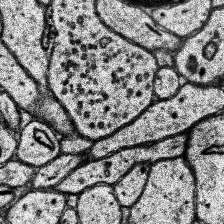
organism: Human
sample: Temporal Lobe